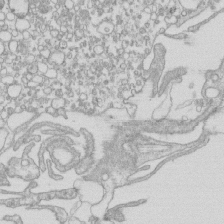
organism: Mouse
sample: Macrophages